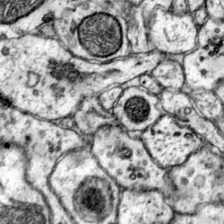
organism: Mouse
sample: Primary visual cortex